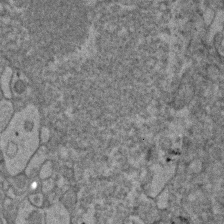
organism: Human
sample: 1205lu cells